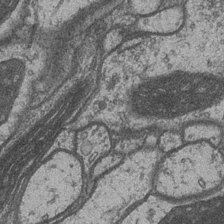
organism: Drosophila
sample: Optic medulla